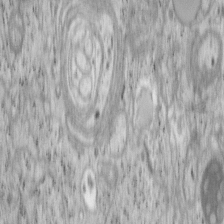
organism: Human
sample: HeLa cells